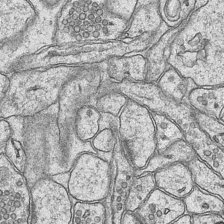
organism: Mouse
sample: CA1 Hippocampus